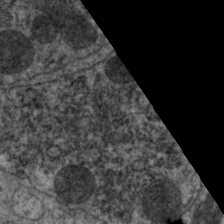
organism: C. elegans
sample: Pharynx